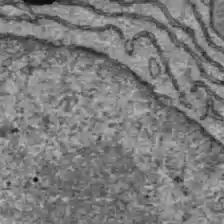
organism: C57BL Mouse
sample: Liver